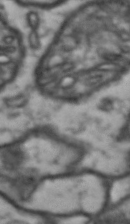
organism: Drosophila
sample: Brain